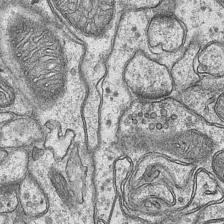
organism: Mouse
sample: CA1 Hippocampus